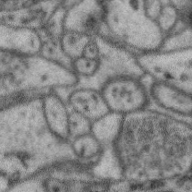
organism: Zebra finch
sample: Brain